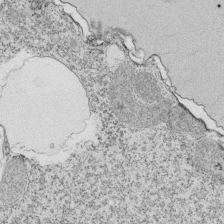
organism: Tetrahymena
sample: Cilia in tetrahymena